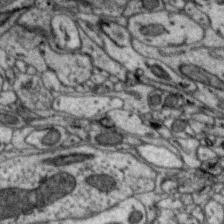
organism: Zebra finch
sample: Brain